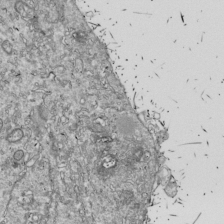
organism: Drosophila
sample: Cell division; meiosis; drosophila spermatocytes